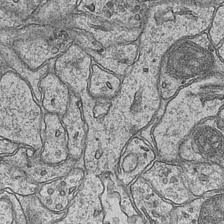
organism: Mouse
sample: CA1 Hippocampus